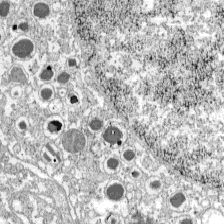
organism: C57BL Mouse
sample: Pancreatic islet